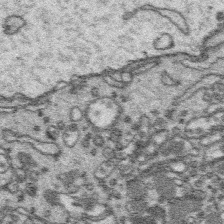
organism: Platynereis dumerilii